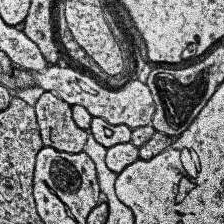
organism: Human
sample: Temporal Lobe